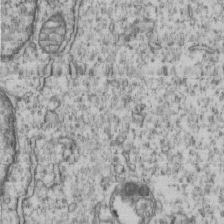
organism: Human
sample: MDA-MB-231 cells